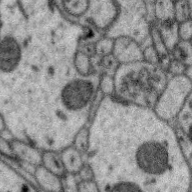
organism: Zebra finch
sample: Brain